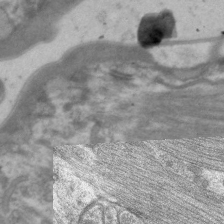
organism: C. elegans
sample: Pharynx